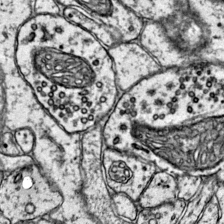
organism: Mouse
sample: Primary visual cortex